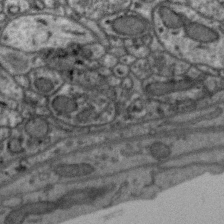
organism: Zebra finch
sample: Brain